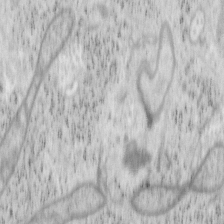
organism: Human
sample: HeLa cells